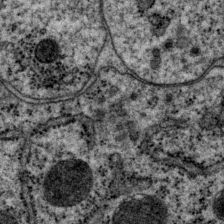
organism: P. pacificus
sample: Pharynx